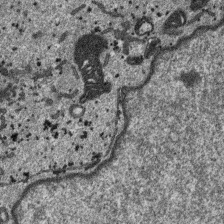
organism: Human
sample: Lung epithelial cells infected with SARS-CoV-2